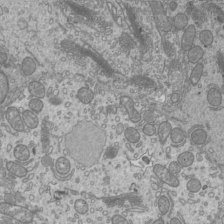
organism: Mouse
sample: Cilia; mouse epididymis